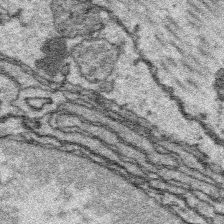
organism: Platynereis dumerilii